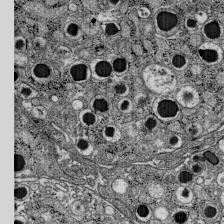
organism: C57BL Mouse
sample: Pancreatic islet